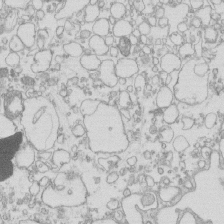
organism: Mouse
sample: Macrophages